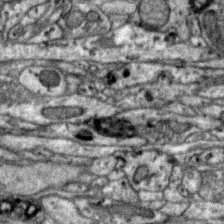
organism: Zebra finch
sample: Brain